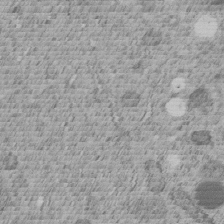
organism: C. elegans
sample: C. elegans embryo early stage